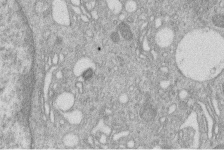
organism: Human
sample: Macrophage cells